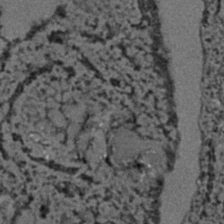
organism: C. elegans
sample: C. elegans embryo